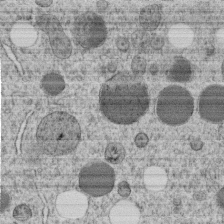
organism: C. elegans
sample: C. elegans embryo early stage